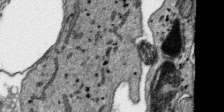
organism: Human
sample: Lung epithelial cells, uninfected (mock) control